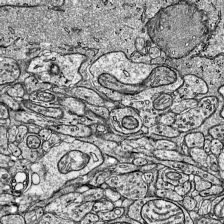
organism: Mouse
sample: Visual Cortex